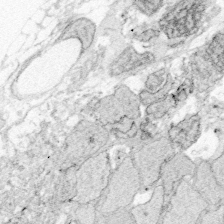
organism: Zebrafish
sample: Whole-Brain